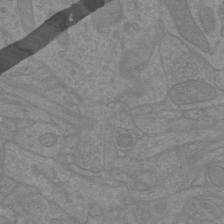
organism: Mouse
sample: Cortical neurons